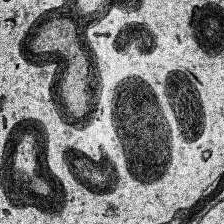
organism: Human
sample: Temporal Lobe